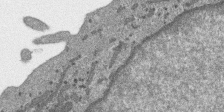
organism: Human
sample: Lung epithelial cells infected with SARS-CoV-2